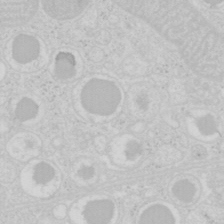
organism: Mouse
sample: Pancreas